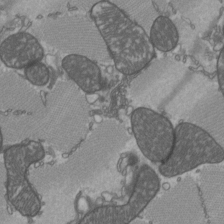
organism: C57BL Mouse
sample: Heart